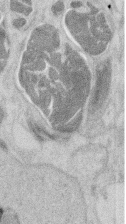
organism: Mouse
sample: T cell stromal cell synapse